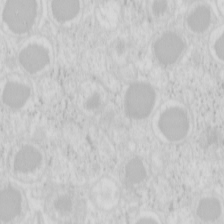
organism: Mouse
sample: Pancreas